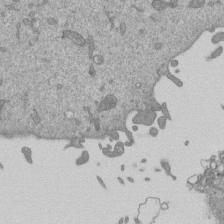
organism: Mouse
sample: ED-1 cell nuclei; centrioles